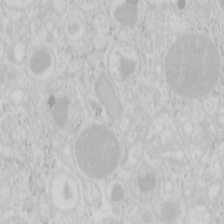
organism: Mouse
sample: Pancreas